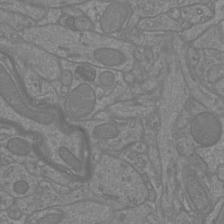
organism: Mouse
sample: Cortical neurons